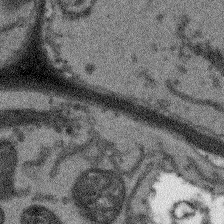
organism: Arabidopsis thaliana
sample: Root tip